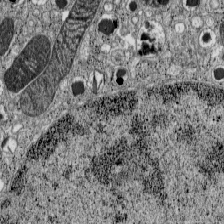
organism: C57BL Mouse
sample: Pancreatic islet